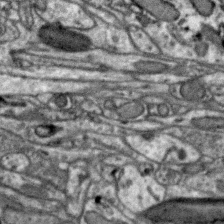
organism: Zebra finch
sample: Brain